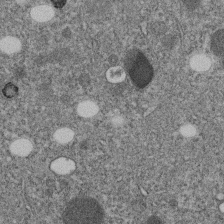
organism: C. elegans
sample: C. elegans embryo early stage